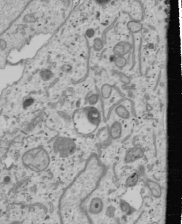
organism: Human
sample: Mitochondria in U2OS cells